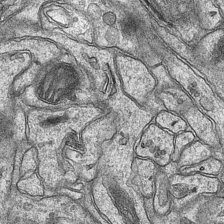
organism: Mouse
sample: CA1 Hippocampus